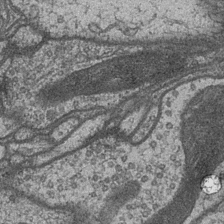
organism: Drosophila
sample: Optic medulla